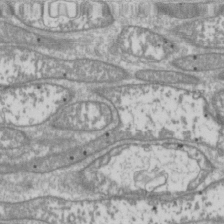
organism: Drosophila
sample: Cell division; meiosis; drosophila spermatocytes